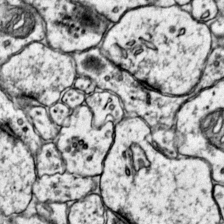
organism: Mouse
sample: Primary visual cortex